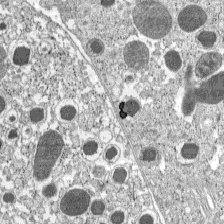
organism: C57BL Mouse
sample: Pancreatic islet